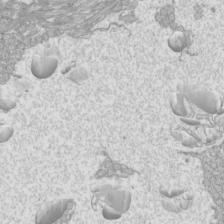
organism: Mouse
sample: Cilia; mouse epididymis